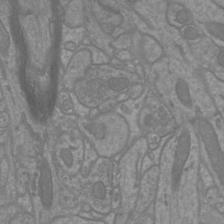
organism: Mouse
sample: Cortical neurons